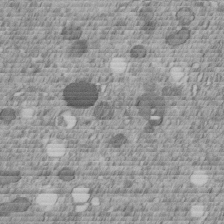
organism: C. elegans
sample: C. elegans embryo early stage